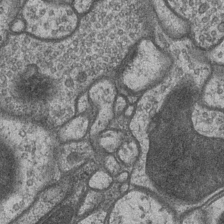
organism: Drosophila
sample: Optic medulla